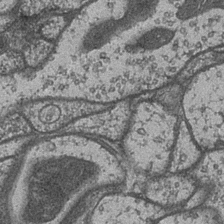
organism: Drosophila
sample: Optic medulla